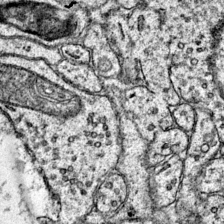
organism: Mouse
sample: Primary visual cortex